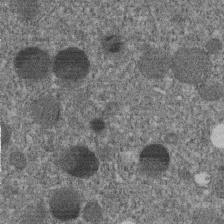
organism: C. elegans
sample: C. elegans embryo early stage